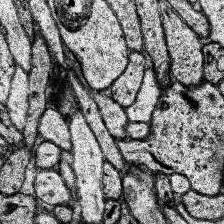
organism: Human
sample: Temporal Lobe